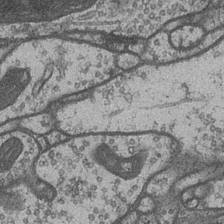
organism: Drosophila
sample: Optic medulla